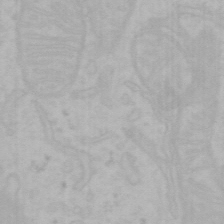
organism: Mouse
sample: Choroid plexus